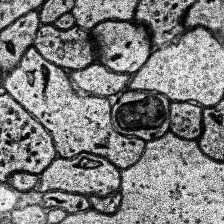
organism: Human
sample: Temporal Lobe